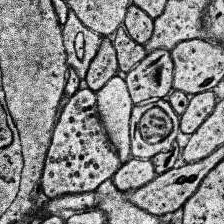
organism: Human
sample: Temporal Lobe